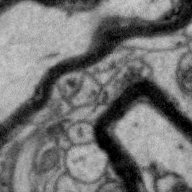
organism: Zebra finch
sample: Brain